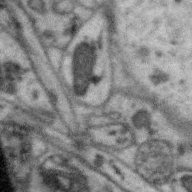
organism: Zebra finch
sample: Brain